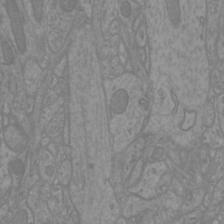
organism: Mouse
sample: Cortical neurons